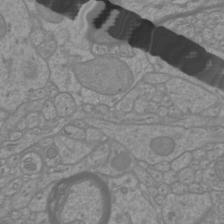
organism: Mouse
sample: Cortical neurons